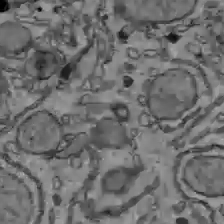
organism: C57BL Mouse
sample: Liver